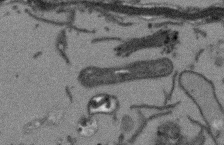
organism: Arabidopsis thaliana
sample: Root tip